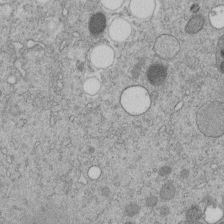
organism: C. elegans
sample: C. elegans embryo early stage